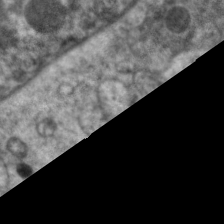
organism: C. elegans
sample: Pharynx